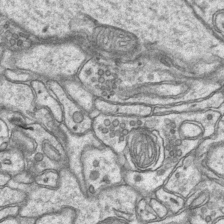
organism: Mouse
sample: CA1 Hippocampus